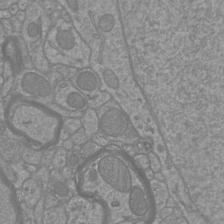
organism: Mouse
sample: Cortical neurons